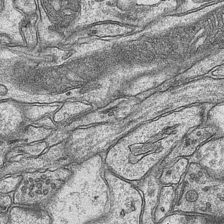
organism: Mouse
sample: CA1 Hippocampus